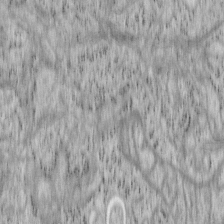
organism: Human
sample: HeLa cells